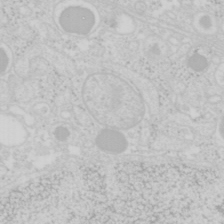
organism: Mouse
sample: Pancreas